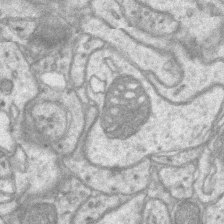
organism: Mouse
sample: CA1 Hippocampus